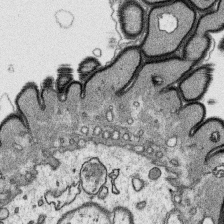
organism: Platynereis dumerilii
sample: Parapodia